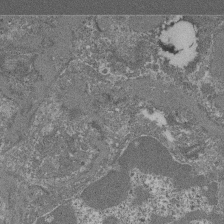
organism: Mouse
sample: Glomerulus